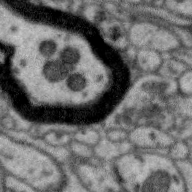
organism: Zebra finch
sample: Brain